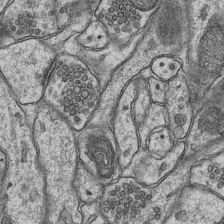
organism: Mouse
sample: CA1 Hippocampus